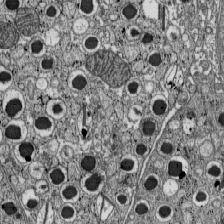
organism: C57BL Mouse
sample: Pancreatic islet